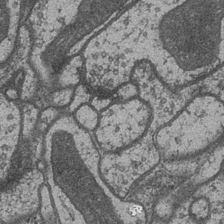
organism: Drosophila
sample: Optic medulla